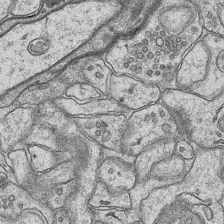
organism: Mouse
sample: CA1 Hippocampus